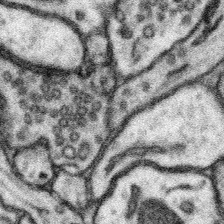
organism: Mouse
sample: Somatosensory cortex neuropil